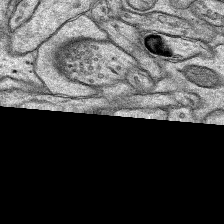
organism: Rat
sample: Hippocampus